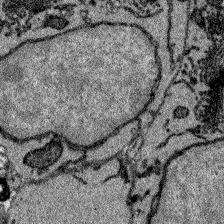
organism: Zebrafish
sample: Larval olfactory bulb